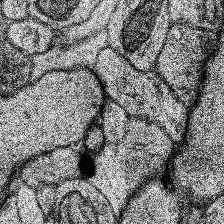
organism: Human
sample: Temporal Lobe